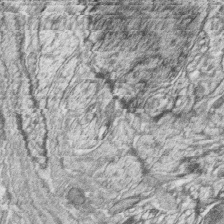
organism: Zebrafish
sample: synaptic ribbons in rod cells and cone cells